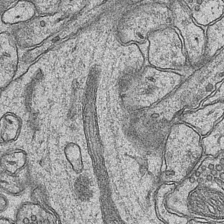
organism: Mouse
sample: CA1 Hippocampus